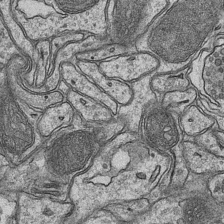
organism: Mouse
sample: CA1 Hippocampus